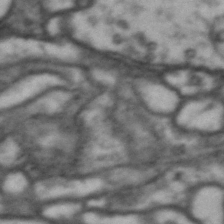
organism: Drosophila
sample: Brain